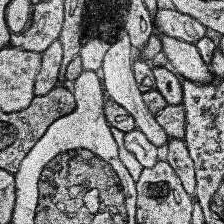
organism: Human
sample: Temporal Lobe